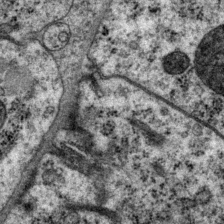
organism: P. pacificus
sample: Pharynx